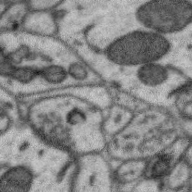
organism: Zebra finch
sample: Brain